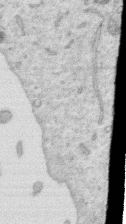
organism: Human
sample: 1205lu cells